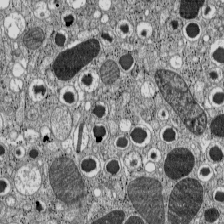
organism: C57BL Mouse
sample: Pancreatic islet